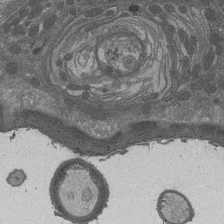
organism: Drosophila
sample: Antenna